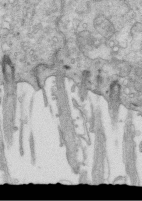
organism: Mouse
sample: Multiciliated cells